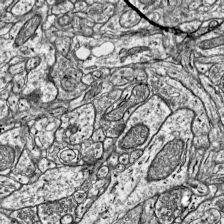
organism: Mouse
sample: Visual Cortex